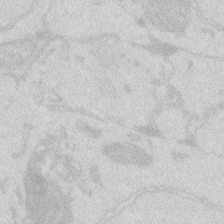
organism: Zebrafish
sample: Macrophage